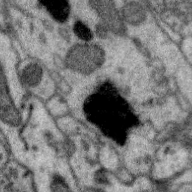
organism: Zebra finch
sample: Brain